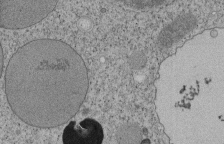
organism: Tetrahymena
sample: Cilia in tetrahymena